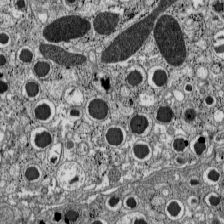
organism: C57BL Mouse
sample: Pancreatic islet